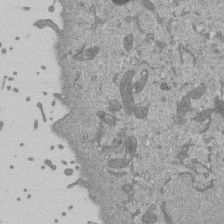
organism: Mouse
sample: ED-1 cell nuclei; centrioles